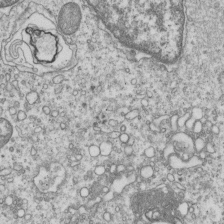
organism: Human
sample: MDA-MB-231 cells